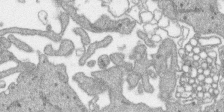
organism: Human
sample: Lung epithelial cells infected with SARS-CoV-2